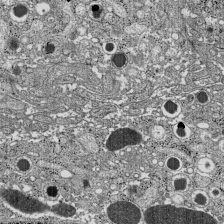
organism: C57BL Mouse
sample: Pancreatic islet